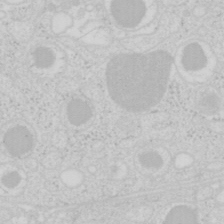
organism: Mouse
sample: Pancreas